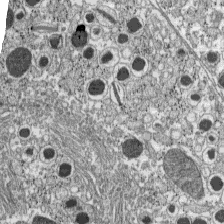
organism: C57BL Mouse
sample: Pancreatic islet